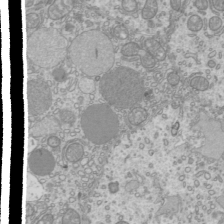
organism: Mouse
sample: Cilia; mouse epididymis